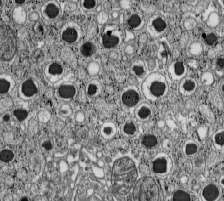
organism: C57BL Mouse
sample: Pancreatic islet